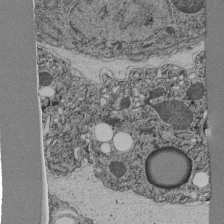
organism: C. elegans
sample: C. elegans pharynx